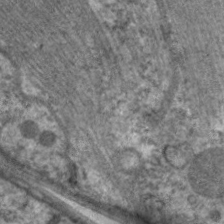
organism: C. elegans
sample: Pharynx